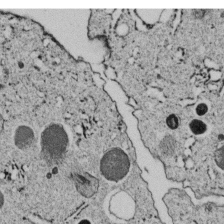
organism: C. elegans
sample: C. elegans embryo early stage